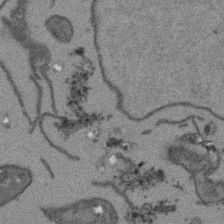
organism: Arabidopsis thaliana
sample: Root tip